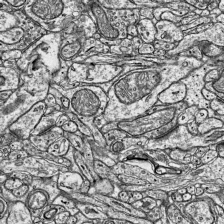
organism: Mouse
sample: Visual Cortex